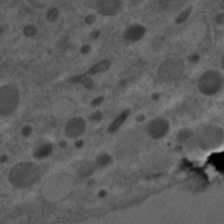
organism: C. elegans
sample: C. elegans embryo